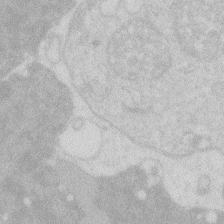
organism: Zebrafish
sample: Macrophage